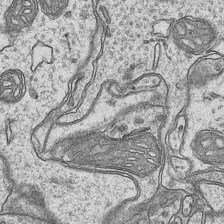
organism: Mouse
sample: CA1 Hippocampus